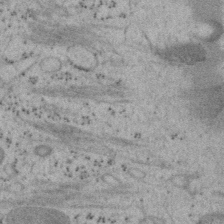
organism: Human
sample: HeLa cells